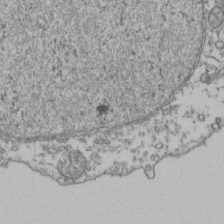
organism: Human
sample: Activated Jurkat CD4+ T cells